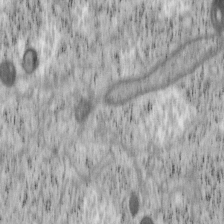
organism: Human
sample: HeLa cells